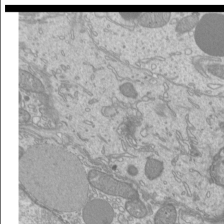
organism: Mouse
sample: Cilia; mouse epididymis